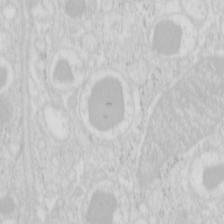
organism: Mouse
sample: Pancreas